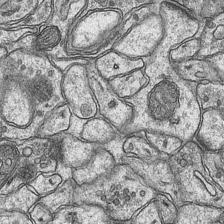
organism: Mouse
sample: CA1 Hippocampus